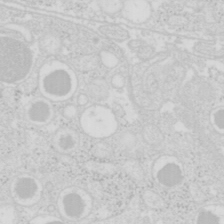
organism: Mouse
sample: Pancreas